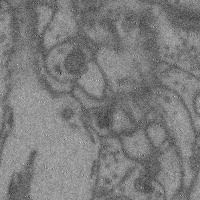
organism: Mouse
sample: Cerebral cortex